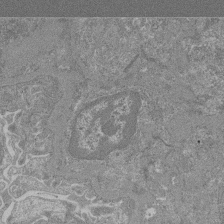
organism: Mouse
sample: Glomerulus